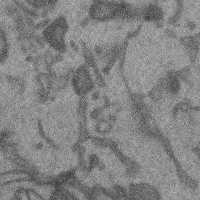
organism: Mouse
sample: Cerebral cortex